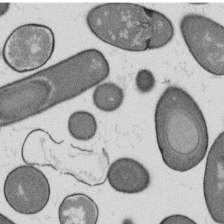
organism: B. subtilis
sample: Bacterial spore